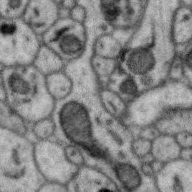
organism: Zebra finch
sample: Brain